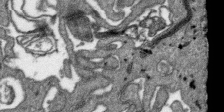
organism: Human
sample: Lung epithelial cells, uninfected (mock) control